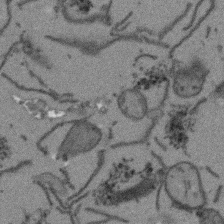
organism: Arabidopsis thaliana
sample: Root tip